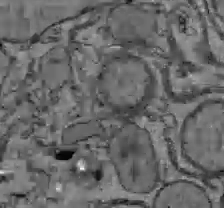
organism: C57BL Mouse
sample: Liver